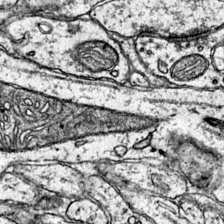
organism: Mouse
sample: Primary visual cortex